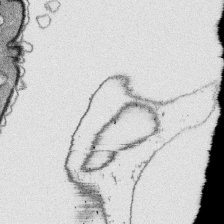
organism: Platynereis dumerilii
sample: Parapodia